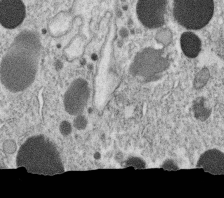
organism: C. elegans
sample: C. elegans oocyte; sperm cells